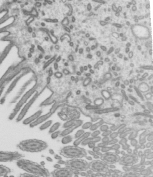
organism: Mouse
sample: Mouse epididymis efferent ductule cilia